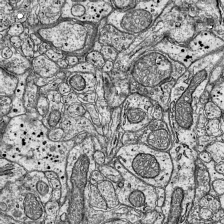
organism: Mouse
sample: Visual Cortex